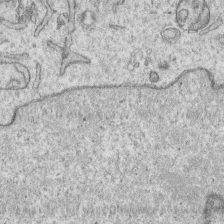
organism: Human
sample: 1205lu cells